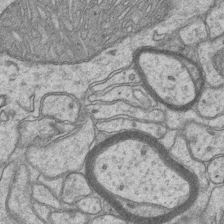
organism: Mouse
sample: CA1 Hippocampus